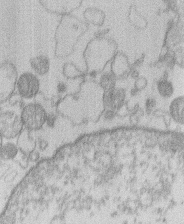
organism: Human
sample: Macrophage cells